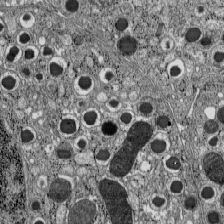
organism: C57BL Mouse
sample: Pancreatic islet